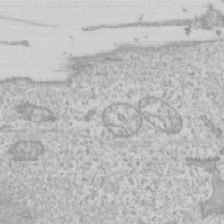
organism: Human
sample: CRL-1474